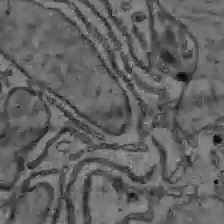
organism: C57BL Mouse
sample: Liver